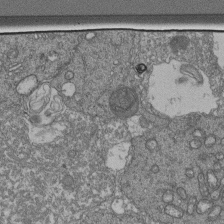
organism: Human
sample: Retinal organoid Rod and Cone cells